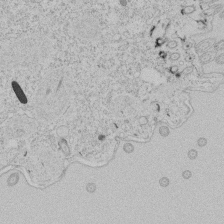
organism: Tetrahymena